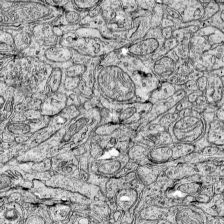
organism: Mouse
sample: Visual Cortex